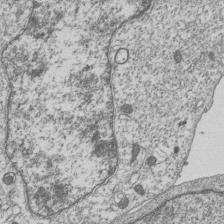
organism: Human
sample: MDA-MB-231 cells